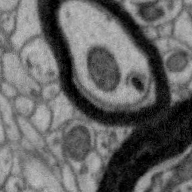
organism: Zebra finch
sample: Brain